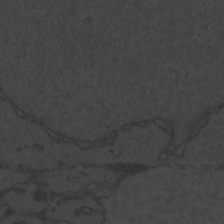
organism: Zebrafish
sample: Macrophage infected with Toxoplasma gondii